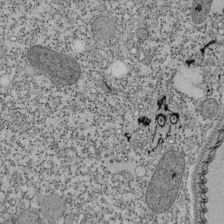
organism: Tetrahymena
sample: Cilia in tetrahymena